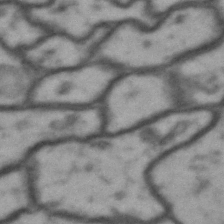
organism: Drosophila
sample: Brain